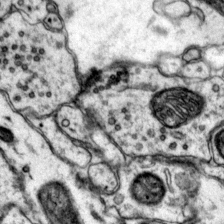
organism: Mouse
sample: Primary visual cortex